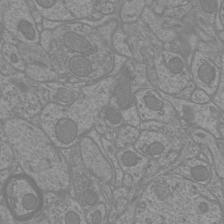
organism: Mouse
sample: Cortical neurons